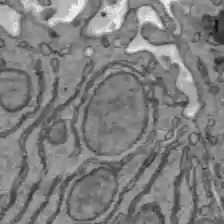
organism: C57BL Mouse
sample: Liver